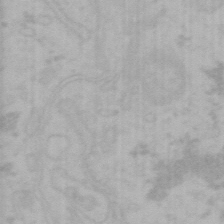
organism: Mouse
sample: Choroid plexus